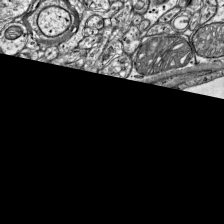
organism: Mouse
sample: Visual Cortex